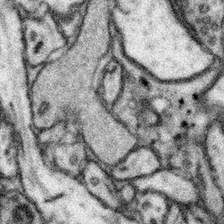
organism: Mouse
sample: Somatosensory cortex neuropil